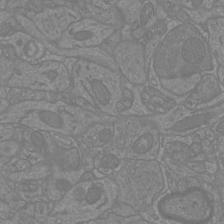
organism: Mouse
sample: Cortical neurons